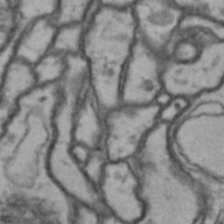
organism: Drosophila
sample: Brain